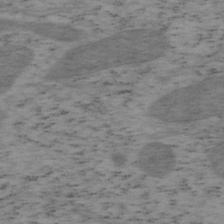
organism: Mouse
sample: OT-I killer T cells with ID8 ovarian cancer cells